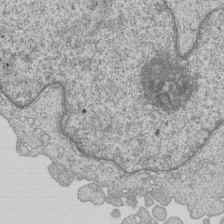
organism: Human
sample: MDA-MB-231 cells